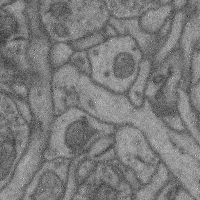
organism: Mouse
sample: Cerebral cortex